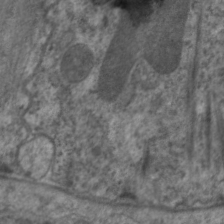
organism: C. elegans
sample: Pharynx